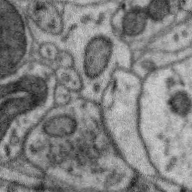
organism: Zebra finch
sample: Brain